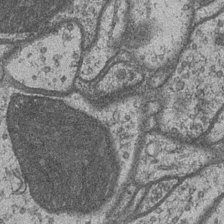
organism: Drosophila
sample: Optic medulla